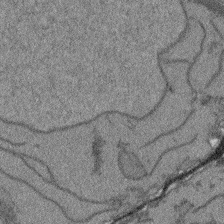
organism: Arabidopsis thaliana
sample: Root tip